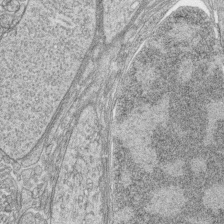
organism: Zebrafish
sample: synaptic ribbons in rod cells and cone cells